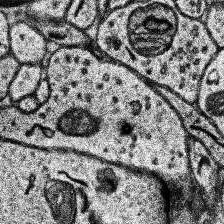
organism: Human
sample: Temporal Lobe